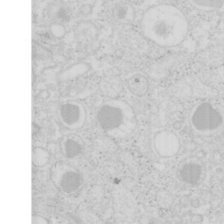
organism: Mouse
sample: Pancreas